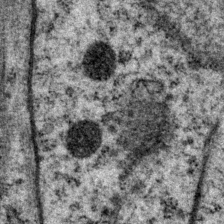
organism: P. pacificus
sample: Pharynx